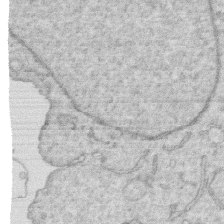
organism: Human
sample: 1205lu cells